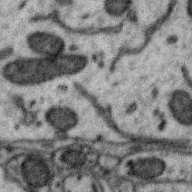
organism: Zebra finch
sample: Brain